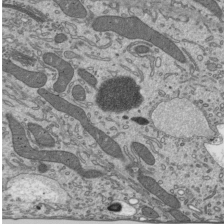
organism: Mouse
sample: Mouse epididymis efferent ductule cilia